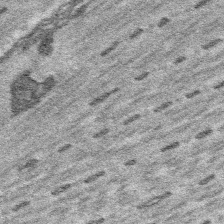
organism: Platynereis dumerilii